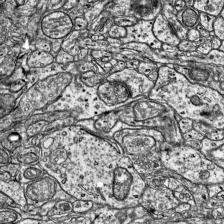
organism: Mouse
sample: Visual Cortex